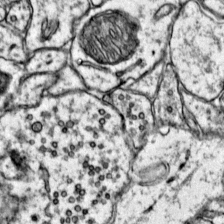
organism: Mouse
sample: Primary visual cortex